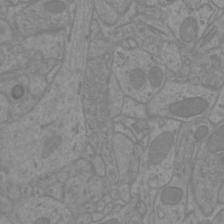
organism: Mouse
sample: Cortical neurons